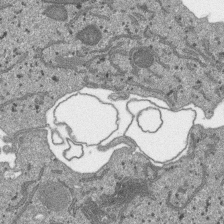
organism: Human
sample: Lung epithelial cells infected with SARS-CoV-2